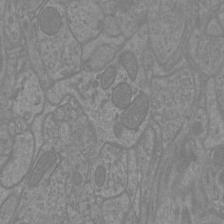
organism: Mouse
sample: Cortical neurons